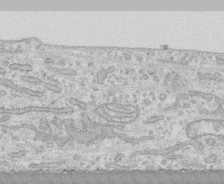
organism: Human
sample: CRL-1474